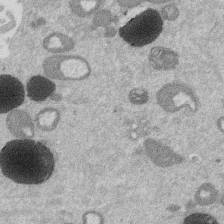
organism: Mouse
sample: Dividing mouse embryo 1 cell stage